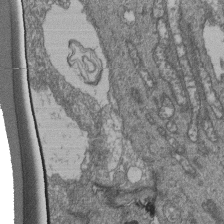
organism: Human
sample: Retinal organoid Rod and Cone cells